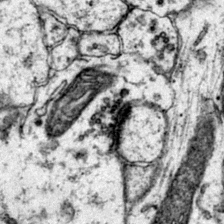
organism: Mouse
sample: Primary visual cortex